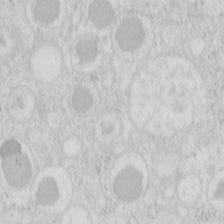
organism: Mouse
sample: Pancreas